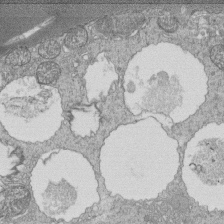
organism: Tetrahymena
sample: Cilia in tetrahymena